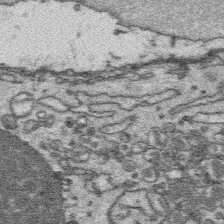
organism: Platynereis dumerilii